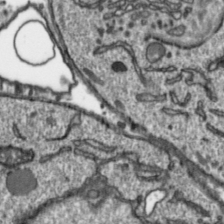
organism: Toxoplasma gondii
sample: Parasites in a vacuole inside a host cell